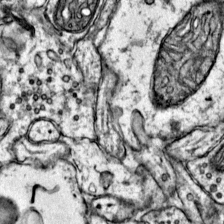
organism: Mouse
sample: Primary visual cortex